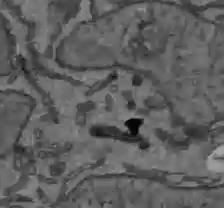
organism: C57BL Mouse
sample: Liver